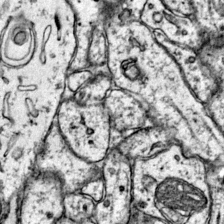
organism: Mouse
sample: Primary visual cortex